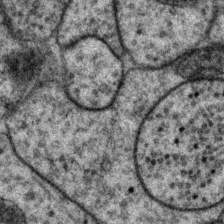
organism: P. pacificus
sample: Pharynx